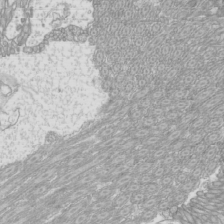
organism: Mouse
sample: Cilia; mouse epididymis